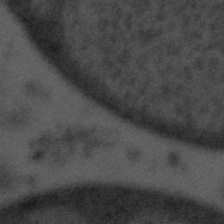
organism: Tuwongella immobilis